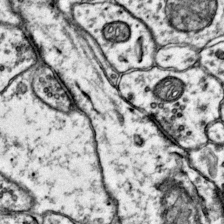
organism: Mouse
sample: Primary visual cortex